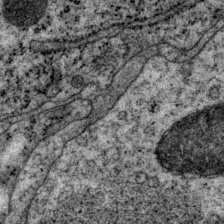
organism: P. pacificus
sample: Pharynx